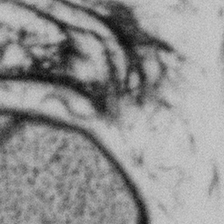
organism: Gemmata obscuriglobus